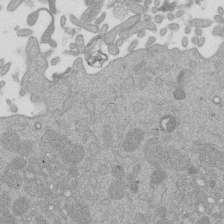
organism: Mouse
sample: Dividing mouse embryo 1 cell stage